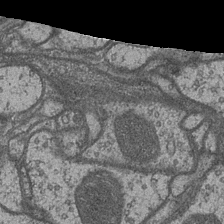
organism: Drosophila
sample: Optic medulla